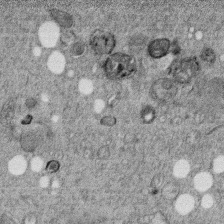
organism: C. elegans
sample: C. elegans embryo early stage